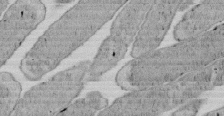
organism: E. coli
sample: Bacterial nucleoid